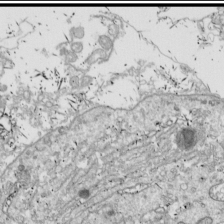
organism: Drosophila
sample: Cell division; meiosis; drosophila spermatocytes